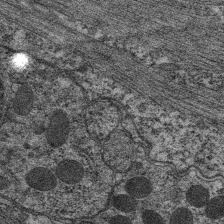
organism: C. elegans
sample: Pharynx